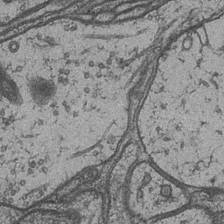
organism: Drosophila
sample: Optic medulla